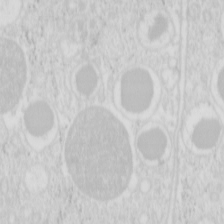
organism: Mouse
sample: Pancreas